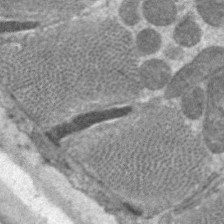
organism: C. elegans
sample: Pharynx